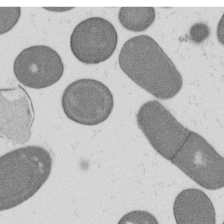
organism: B. subtilis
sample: Bacterial spore